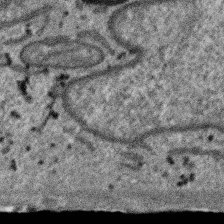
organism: Human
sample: Lung epithelial cells infected with SARS-CoV-2